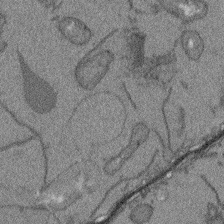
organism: Arabidopsis thaliana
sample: Root tip